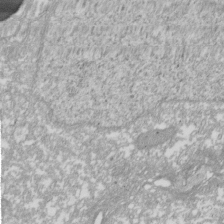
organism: Xenopus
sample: Cilia; centrioles in frog embryo cells